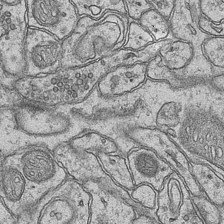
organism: Mouse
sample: CA1 Hippocampus